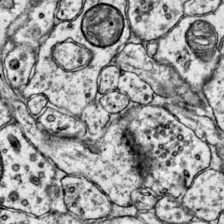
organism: Mouse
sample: Primary visual cortex